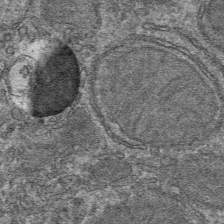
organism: Mouse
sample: Mouse hepatocytes